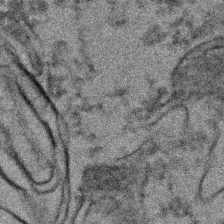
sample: Kidney